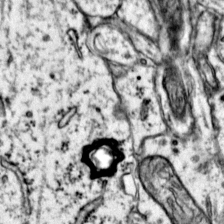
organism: Mouse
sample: Primary visual cortex